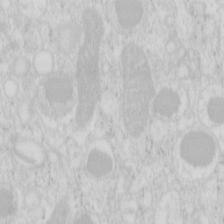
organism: Mouse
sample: Pancreas